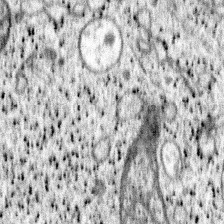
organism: Human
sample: HeLa cells